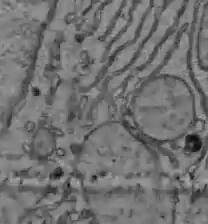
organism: C57BL Mouse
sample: Liver